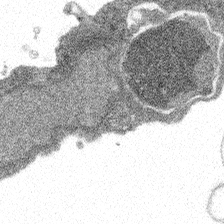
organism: Spongilla lacustris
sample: Multiple